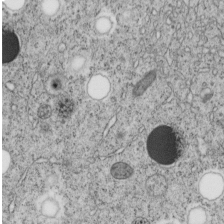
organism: C. elegans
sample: C. elegans embryo early stage